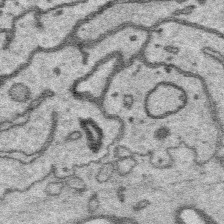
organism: Platynereis dumerilii